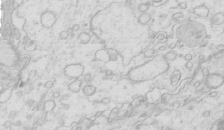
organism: Mouse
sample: Multiciliated cells